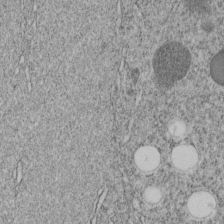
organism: C. elegans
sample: C. elegans embryo early stage